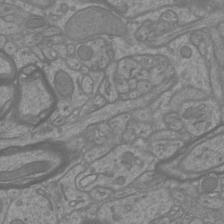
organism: Mouse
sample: Cortical neurons